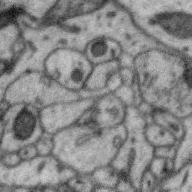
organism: Zebra finch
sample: Brain